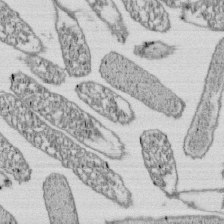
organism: E. coli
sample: Bacterial nucleoid